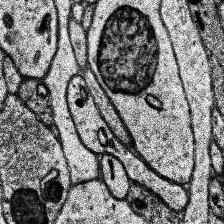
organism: Human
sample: Temporal Lobe